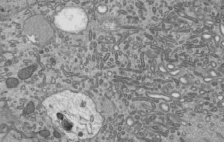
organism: Mouse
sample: Mouse epididymis efferent ductule cilia